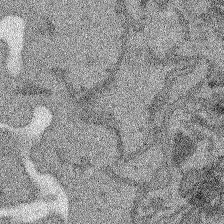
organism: Human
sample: HeLa cells